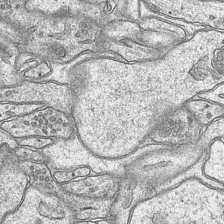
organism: Mouse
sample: CA1 Hippocampus